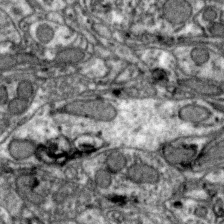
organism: Zebra finch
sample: Brain